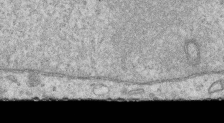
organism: Human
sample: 1205lu cells